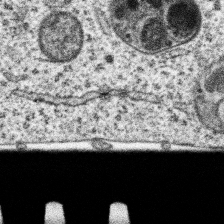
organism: Human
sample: HeLa cells